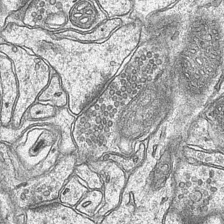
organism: Mouse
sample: CA1 Hippocampus